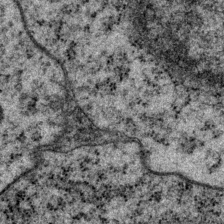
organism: P. pacificus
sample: Pharynx